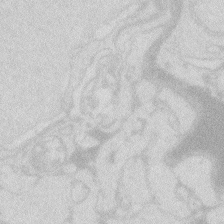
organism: Zebrafish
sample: Macrophage